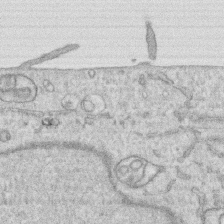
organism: Human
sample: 1205lu cells